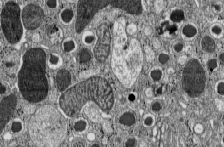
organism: C57BL Mouse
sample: Pancreatic islet